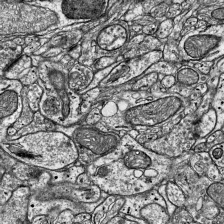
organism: Mouse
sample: Visual Cortex